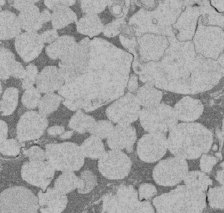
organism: Rat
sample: Salivary granule